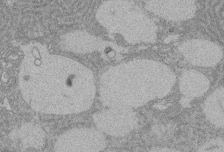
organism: Rat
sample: Salivary granule